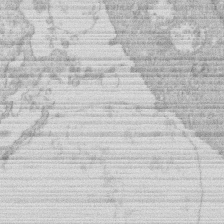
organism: Human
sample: Macrophage cells